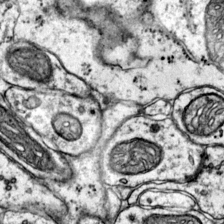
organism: Mouse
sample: Primary visual cortex